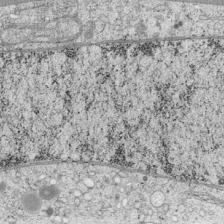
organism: African green monkey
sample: COS-7 cells